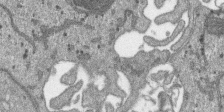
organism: Human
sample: Lung epithelial cells infected with SARS-CoV-2